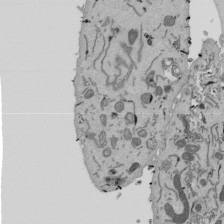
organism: Mouse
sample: ED-1 cell nuclei; centrioles